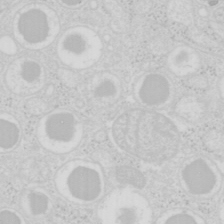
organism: Mouse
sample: Pancreas